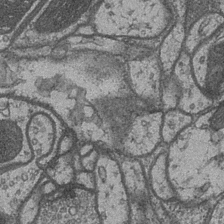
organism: Drosophila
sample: Optic medulla